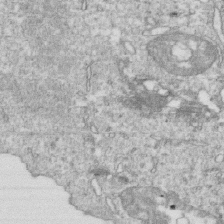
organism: Mouse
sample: Activated OT-1 CD8+ T cells